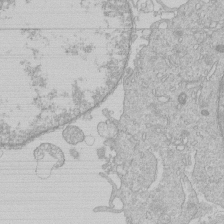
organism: Human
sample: Macrophage cells